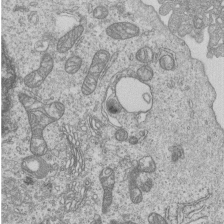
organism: Human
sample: MDA-MB-231 cells